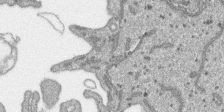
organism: Human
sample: Lung epithelial cells infected with SARS-CoV-2